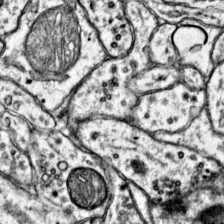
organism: Mouse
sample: Primary visual cortex